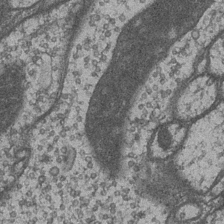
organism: Drosophila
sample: Optic medulla